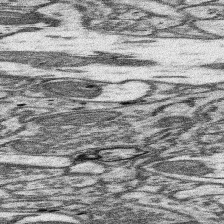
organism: Mouse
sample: Somatosensory cortex neuropil